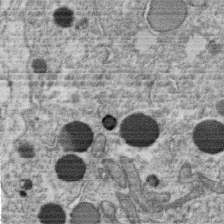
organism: C. elegans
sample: C. elegans oocyte; sperm cells